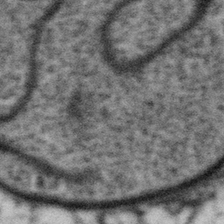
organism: Gemmata obscuriglobus